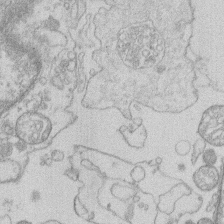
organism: Human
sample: Macrophage cells